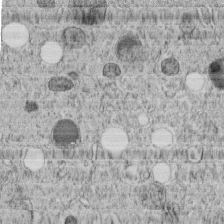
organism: C. elegans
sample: C. elegans embryo early stage